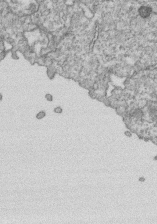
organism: Human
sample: HeLa cell HIV synapse